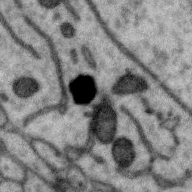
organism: Zebra finch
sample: Brain